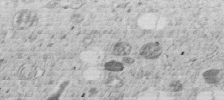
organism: C. elegans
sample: C. elegans embryo early stage